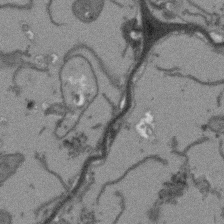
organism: Arabidopsis thaliana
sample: Root tip